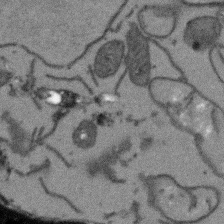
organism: Arabidopsis thaliana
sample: Root tip